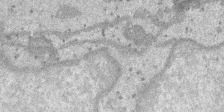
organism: Human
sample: Lung epithelial cells infected with SARS-CoV-2